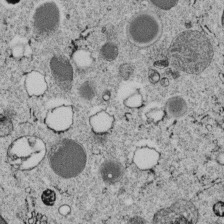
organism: C. elegans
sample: C. elegans embryo early stage